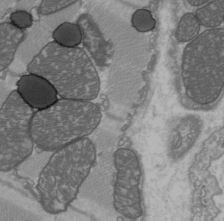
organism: C57BL Mouse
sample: Heart